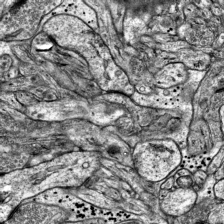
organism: Mouse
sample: Visual Cortex